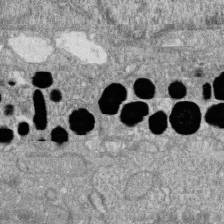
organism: Zebrafish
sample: Cilia; retinal pigment epithelium